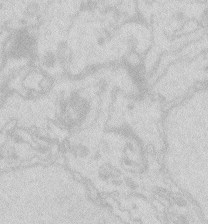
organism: Zebrafish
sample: Macrophage